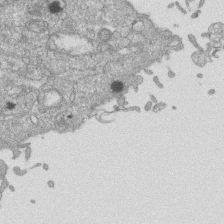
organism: Human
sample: HeLa cell HIV synapse